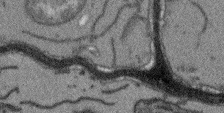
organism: Arabidopsis thaliana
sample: Root tip